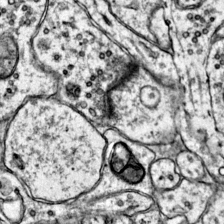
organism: Mouse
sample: Primary visual cortex